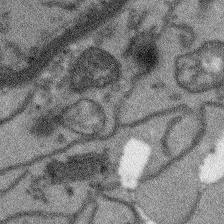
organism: Arabidopsis thaliana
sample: Root tip